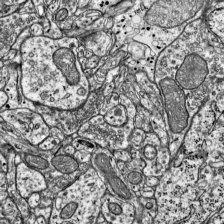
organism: Mouse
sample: Visual Cortex